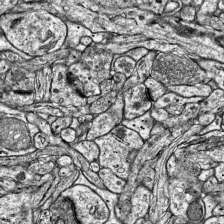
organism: Mouse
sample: Visual Cortex